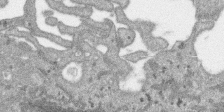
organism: Human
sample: Lung epithelial cells infected with SARS-CoV-2